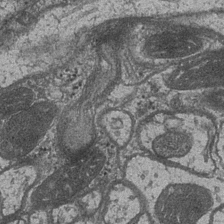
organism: Drosophila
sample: Optic medulla